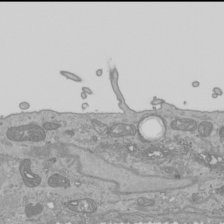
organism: Human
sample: Mitochondria in HCT116 cells